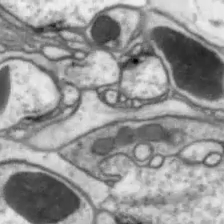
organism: Drosophila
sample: Optic lobe